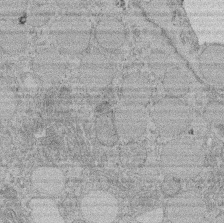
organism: Rat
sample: Salivary granule